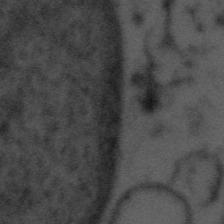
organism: Tuwongella immobilis